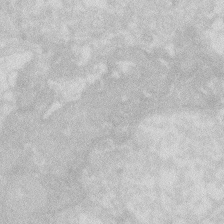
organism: Zebrafish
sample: Macrophage